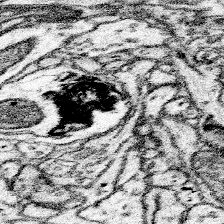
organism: Mouse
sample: Somatosensory cortex neuropil